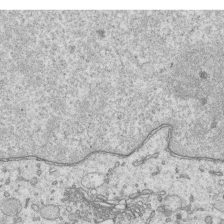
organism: Human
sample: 1205lu cells